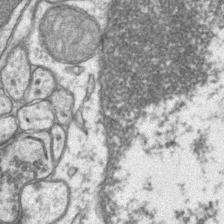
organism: Mouse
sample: CA1 Hippocampus